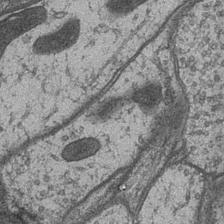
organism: Drosophila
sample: Optic medulla